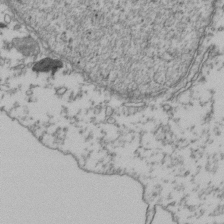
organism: Human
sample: Activated Jurkat CD4+ T cells